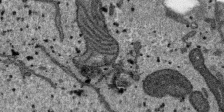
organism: Human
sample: Lung epithelial cells, uninfected (mock) control